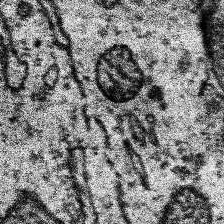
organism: Human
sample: Temporal Lobe